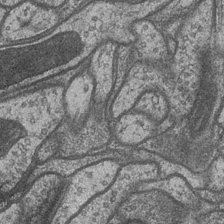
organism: Drosophila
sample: Optic medulla